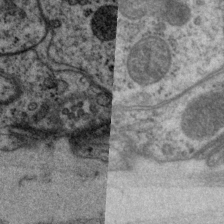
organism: P. pacificus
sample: Pharynx